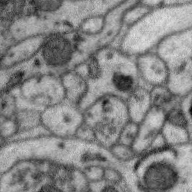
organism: Zebra finch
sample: Brain